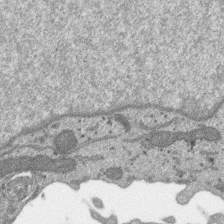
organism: Human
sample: Lung epithelial cells infected with SARS-CoV-2